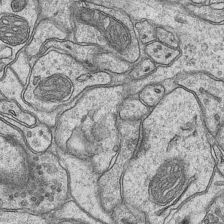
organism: Mouse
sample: CA1 Hippocampus